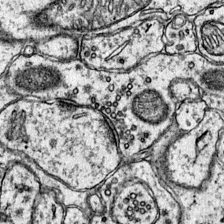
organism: Mouse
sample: Primary visual cortex